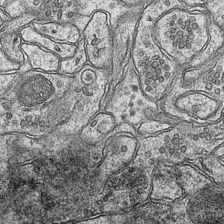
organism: Mouse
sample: CA1 Hippocampus